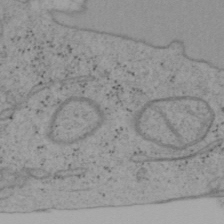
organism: Human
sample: HeLa cells